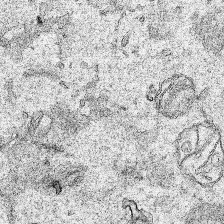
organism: Human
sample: Mitochondria in HCT116 cells